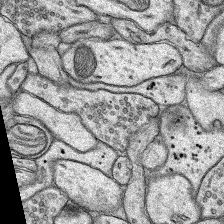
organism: Rat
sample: Hippocampus